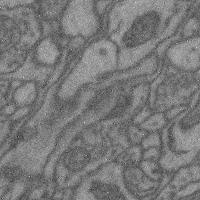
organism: Mouse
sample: Cerebral cortex